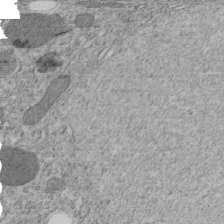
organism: C. elegans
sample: C. elegans embryo early stage